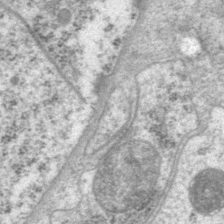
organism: P. pacificus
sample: Pharynx